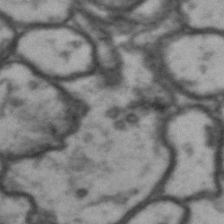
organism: Drosophila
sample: Brain